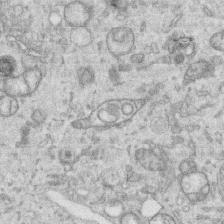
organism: Human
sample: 1205lu cells